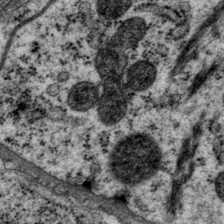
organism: P. pacificus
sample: Pharynx